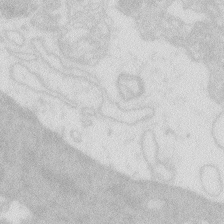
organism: Zebrafish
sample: Macrophage